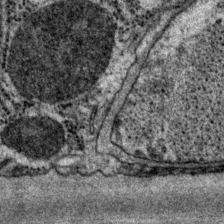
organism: P. pacificus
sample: Pharynx